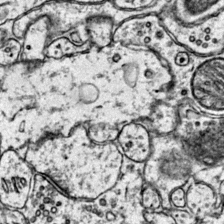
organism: Mouse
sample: Primary visual cortex